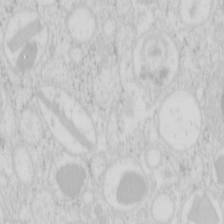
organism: Mouse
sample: Pancreas